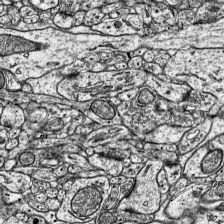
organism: Mouse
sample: Visual Cortex